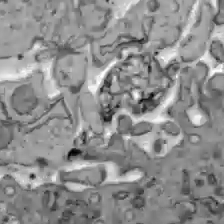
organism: C57BL Mouse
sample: Liver